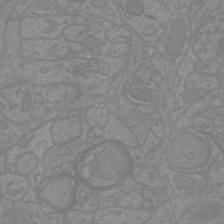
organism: Mouse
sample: Cortical neurons